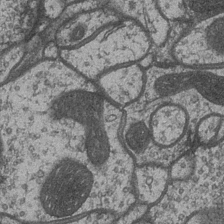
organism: Drosophila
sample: Optic medulla